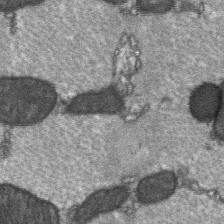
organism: C57BL Mouse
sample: Soleus